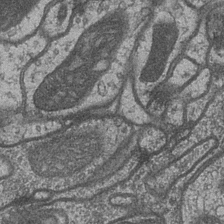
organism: Drosophila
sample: Optic medulla